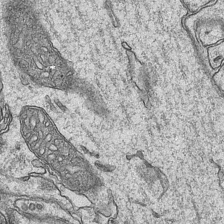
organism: Mouse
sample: CA1 Hippocampus